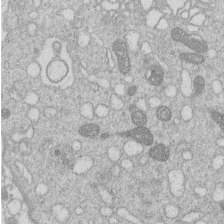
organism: Human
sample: Macrophage cells